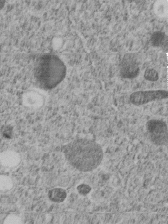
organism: C. elegans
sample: C. elegans embryo early stage